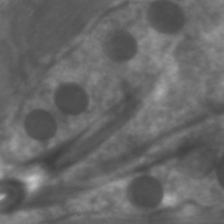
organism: C. elegans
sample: Pharynx